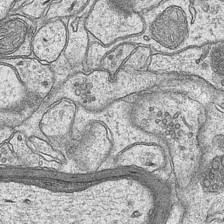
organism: Mouse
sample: CA1 Hippocampus